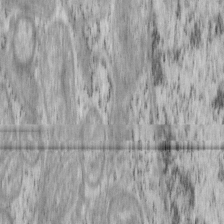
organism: Human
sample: HeLa cells